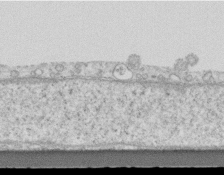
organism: Mouse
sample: Centriole in ependymal cells